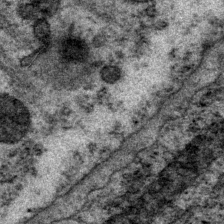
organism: P. pacificus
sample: Pharynx